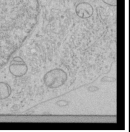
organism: Human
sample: Mitochondria in HCT116 cells